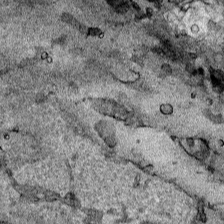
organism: Human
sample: Mitochondria in HCT116 cells